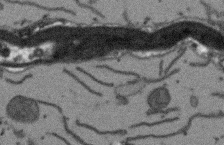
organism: Arabidopsis thaliana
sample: Root tip